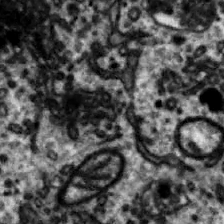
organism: Human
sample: HeLa cells